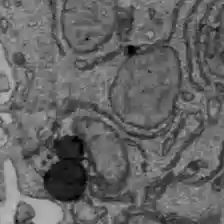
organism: C57BL Mouse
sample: Liver